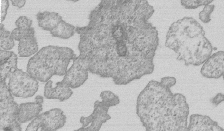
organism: Human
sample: MDA-MB-231 cells